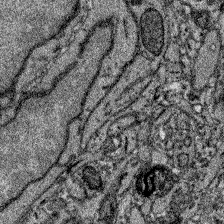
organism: Zebrafish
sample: Larval olfactory bulb